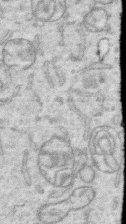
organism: Human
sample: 1205lu cells